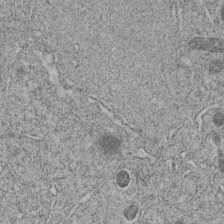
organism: C. elegans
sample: C. elegans embryo early stage